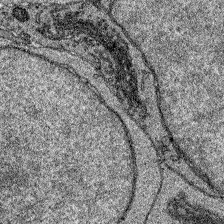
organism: Zebrafish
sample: Larval olfactory bulb